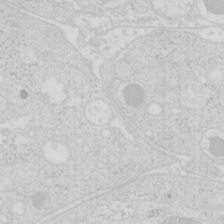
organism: Mouse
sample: Pancreas